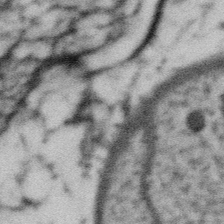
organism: Gemmata obscuriglobus